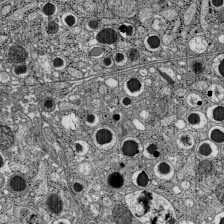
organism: C57BL Mouse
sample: Pancreatic islet